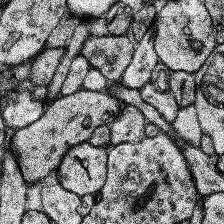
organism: Human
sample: Temporal Lobe